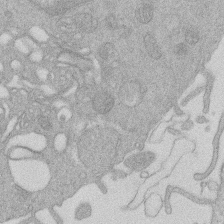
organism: Human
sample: Macrophage cells